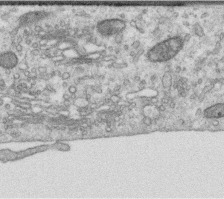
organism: Human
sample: Centriole in RPE cells